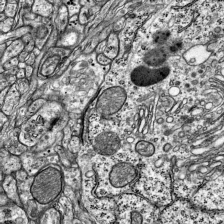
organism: Mouse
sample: Visual Cortex